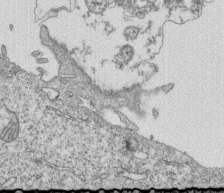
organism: Human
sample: HeLa cell HIV synapse